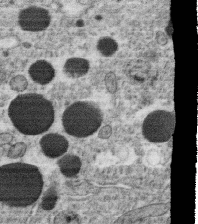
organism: C. elegans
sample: C. elegans oocyte; sperm cells